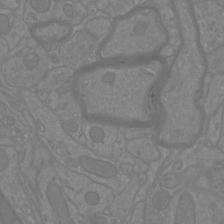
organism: Mouse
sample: Cortical neurons